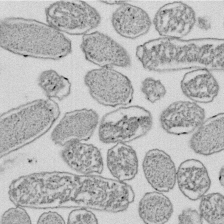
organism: E. coli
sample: Bacterial nucleoid